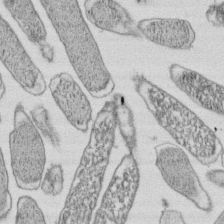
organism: E. coli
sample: Bacterial nucleoid